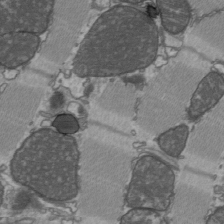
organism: C57BL Mouse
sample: Heart